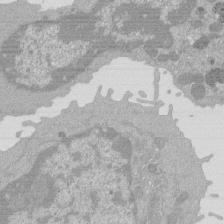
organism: Mouse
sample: Activated Pmel transgenic CD8+ T Cells